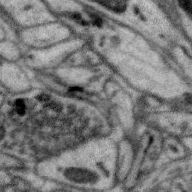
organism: Zebra finch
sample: Brain